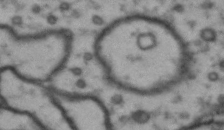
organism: Drosophila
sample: Brain